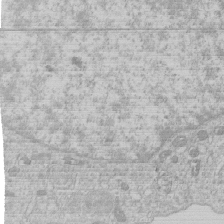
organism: Human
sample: Macrophage cells